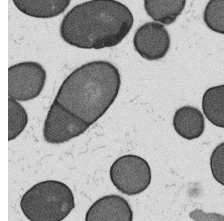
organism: B. subtilis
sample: Bacterial spore